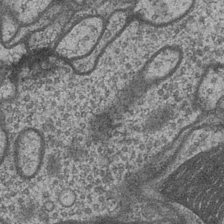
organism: Drosophila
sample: Optic medulla